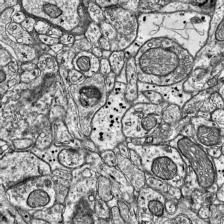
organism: Mouse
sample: Visual Cortex